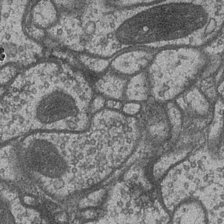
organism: Drosophila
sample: Optic medulla